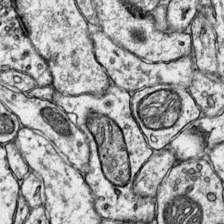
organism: Mouse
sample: Primary visual cortex